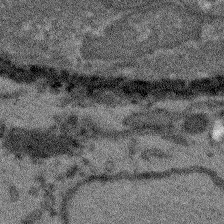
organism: Arabidopsis thaliana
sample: Root tip